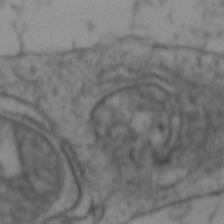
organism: Zebrafish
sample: Zebrafish embryo